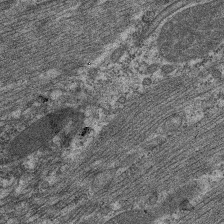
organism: C. elegans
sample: Pharynx